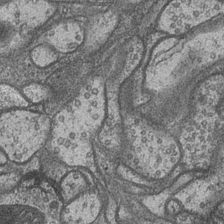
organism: Drosophila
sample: Optic medulla